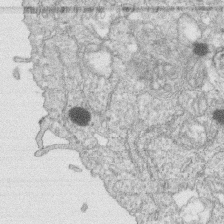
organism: Human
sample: HeLa cell HIV synapse